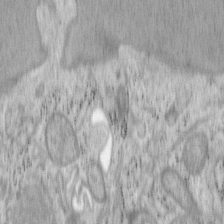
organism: Human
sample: HeLa cells